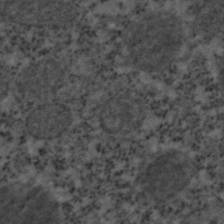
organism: C. elegans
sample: C. elegans embryo